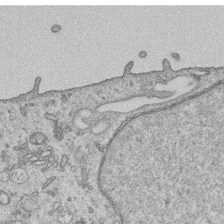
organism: Human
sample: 1205lu cells